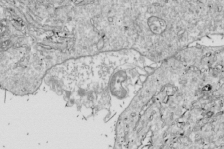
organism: Drosophila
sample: Cell division; meiosis; drosophila spermatocytes